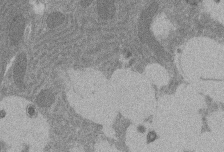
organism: Rat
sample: Salivary granule